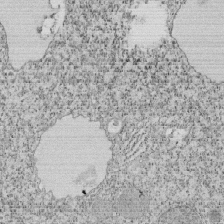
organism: Tetrahymena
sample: Cilia in tetrahymena